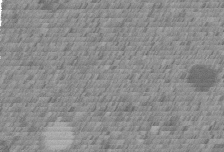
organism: C. elegans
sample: C. elegans embryo early stage